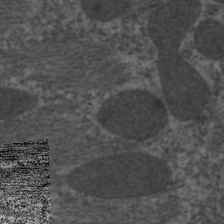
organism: C. elegans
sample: Pharynx